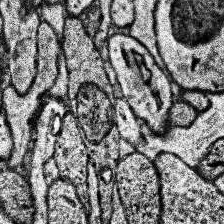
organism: Human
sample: Temporal Lobe